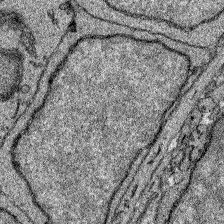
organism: Zebrafish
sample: Larval olfactory bulb